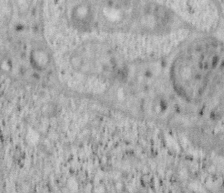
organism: Mouse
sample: OT-I killer T cells with ID8 ovarian cancer cells